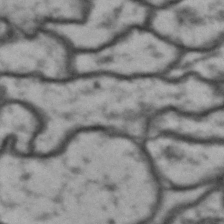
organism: Drosophila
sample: Brain